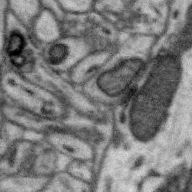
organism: Zebra finch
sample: Brain